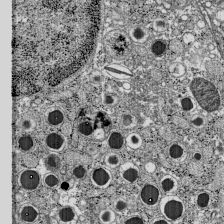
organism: C57BL Mouse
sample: Pancreatic islet